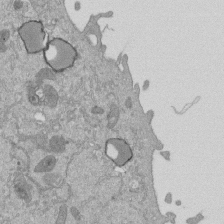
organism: Mouse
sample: ED-1 cell nuclei; centrioles